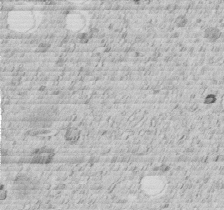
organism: C. elegans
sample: C. elegans embryo early stage